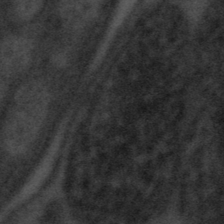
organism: Tuwongella immobilis